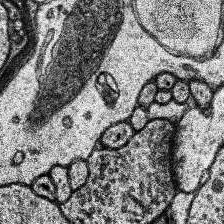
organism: Human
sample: Temporal Lobe